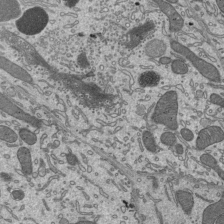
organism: Mouse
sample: Mouse epididymis efferent ductule cilia